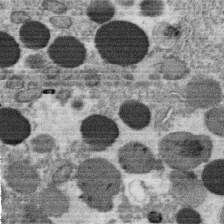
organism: C. elegans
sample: C. elegans oocyte; sperm cells